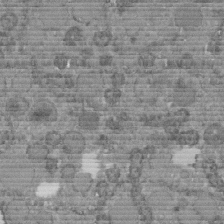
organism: C. elegans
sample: C. elegans embryo early stage